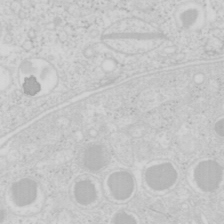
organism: Mouse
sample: Pancreas